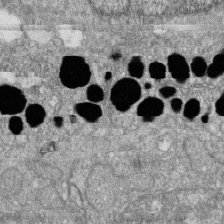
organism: Zebrafish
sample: Cilia; retinal pigment epithelium